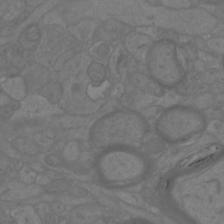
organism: Mouse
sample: Cortical neurons